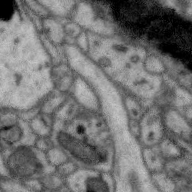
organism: Zebra finch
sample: Brain